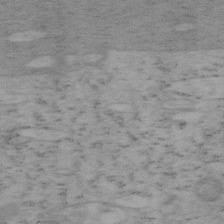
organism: Mouse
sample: OT-I killer T cells with ID8 ovarian cancer cells